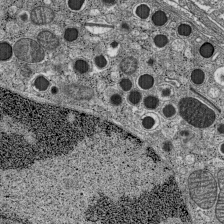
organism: C57BL Mouse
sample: Pancreatic islet